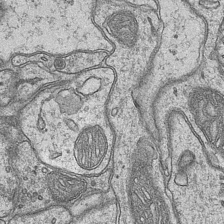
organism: Mouse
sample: CA1 Hippocampus